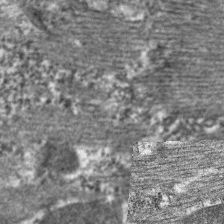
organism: C. elegans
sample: Pharynx